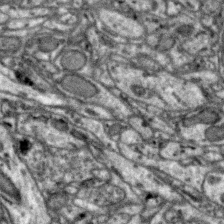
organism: Zebra finch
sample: Brain